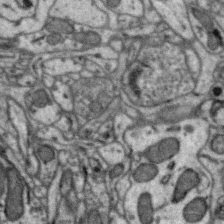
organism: Zebra finch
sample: Brain